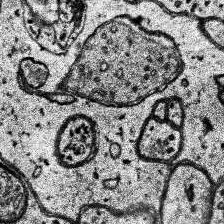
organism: Human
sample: Temporal Lobe